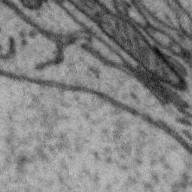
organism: Zebra finch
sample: Brain